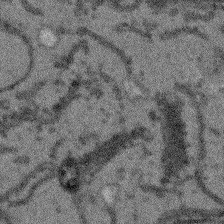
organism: Arabidopsis thaliana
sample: Root tip